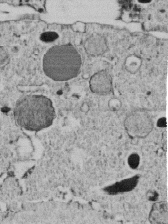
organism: C. elegans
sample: C. elegans embryo early stage